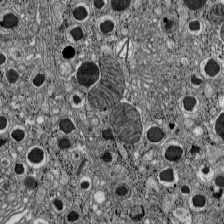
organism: C57BL Mouse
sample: Pancreatic islet